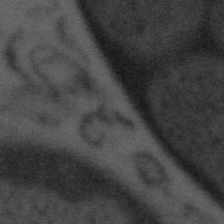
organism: Tuwongella immobilis